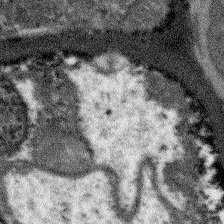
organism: Arabidopsis thaliana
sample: Root tip